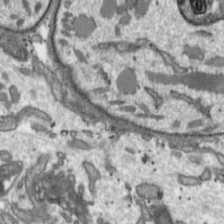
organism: Toxoplasma gondii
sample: Parasites in a vacuole inside a host cell